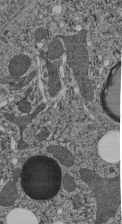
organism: C. elegans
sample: C. elegans pharynx